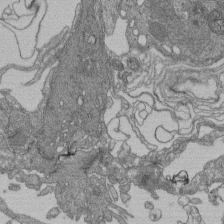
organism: Human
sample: Retinal organoid Rod and Cone cells